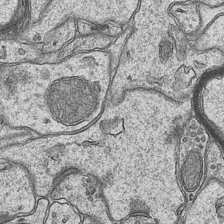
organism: Mouse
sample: CA1 Hippocampus